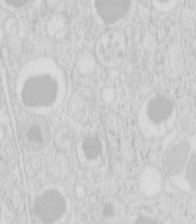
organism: Mouse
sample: Pancreas